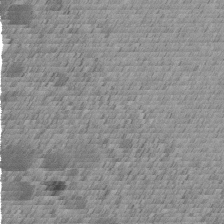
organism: C. elegans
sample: C. elegans embryo early stage